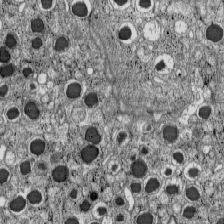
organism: C57BL Mouse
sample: Pancreatic islet